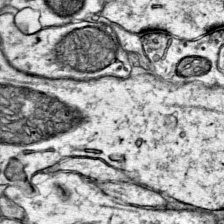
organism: Mouse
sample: Primary visual cortex